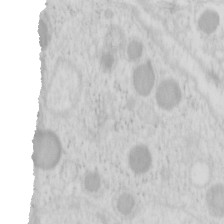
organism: Mouse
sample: Pancreas